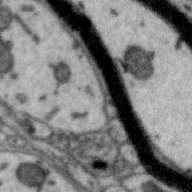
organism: Zebra finch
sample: Brain